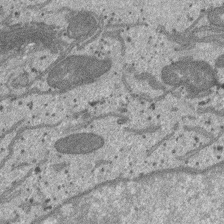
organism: Human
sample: Lung epithelial cells infected with SARS-CoV-2